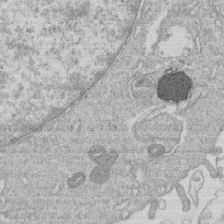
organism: Human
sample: Macrophage cells